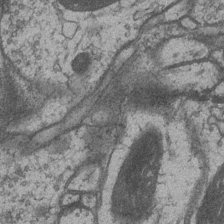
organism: Drosophila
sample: Optic medulla